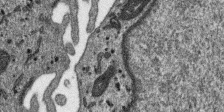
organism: Human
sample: Lung epithelial cells infected with SARS-CoV-2